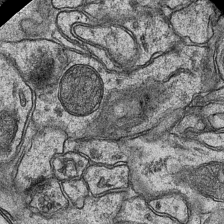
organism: Mouse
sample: CA1 Hippocampus